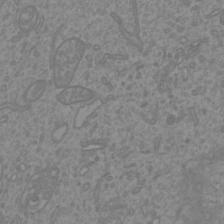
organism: Mouse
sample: Cortical neurons